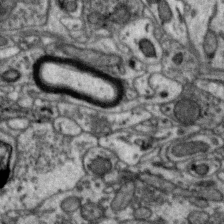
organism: Zebra finch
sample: Brain